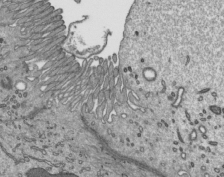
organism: Mouse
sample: Mouse epididymis efferent ductule cilia